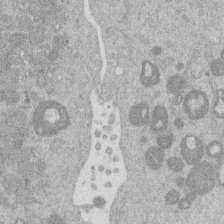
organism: Mouse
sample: Dividing mouse embryo 1 cell stage